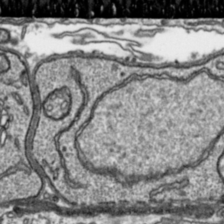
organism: Toxoplasma gondii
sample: Parasites in a vacuole inside a host cell